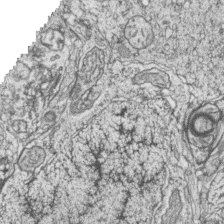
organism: Zebrafish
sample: synaptic ribbons in rod cells and cone cells